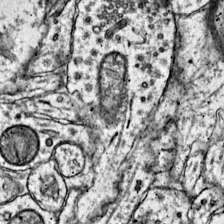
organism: Mouse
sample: Primary visual cortex